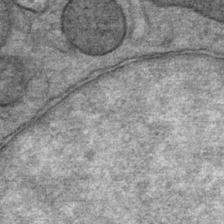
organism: Mouse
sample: Mouse Salivary gland